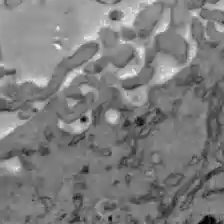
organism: C57BL Mouse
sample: Liver